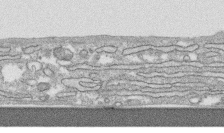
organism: Human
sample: CRL-1474